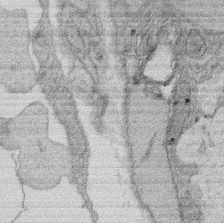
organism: Rat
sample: Salivary granule